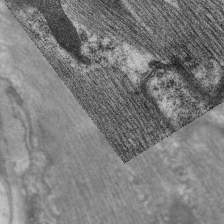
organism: C. elegans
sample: Pharynx